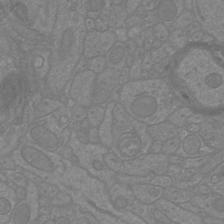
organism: Mouse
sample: Cortical neurons